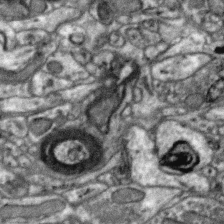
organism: Zebra finch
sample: Brain